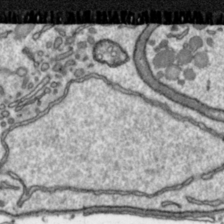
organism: Toxoplasma gondii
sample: Parasites in a vacuole inside a host cell